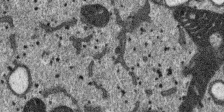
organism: Human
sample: Lung epithelial cells infected with SARS-CoV-2